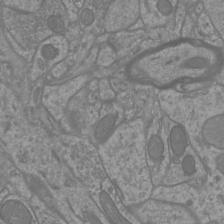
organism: Mouse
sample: Cortical neurons